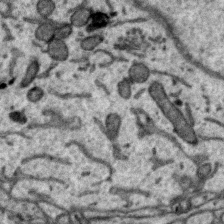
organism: Zebra finch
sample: Brain